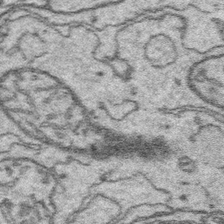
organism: Platynereis dumerilii